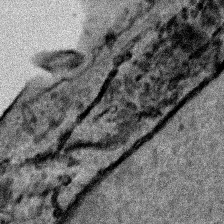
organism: Human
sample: Mitochondria in HCT116 cells